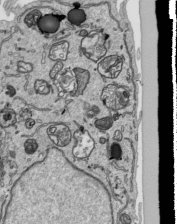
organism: Human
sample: Mitochondria in HCT116 cells